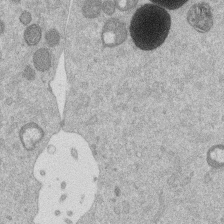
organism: Mouse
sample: Dividing mouse embryo 1 cell stage